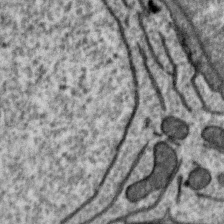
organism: Zebra finch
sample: Brain